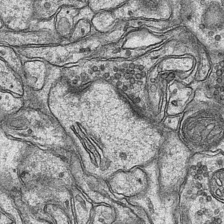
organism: Mouse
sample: CA1 Hippocampus